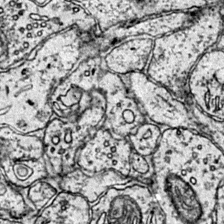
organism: Mouse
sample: Primary visual cortex